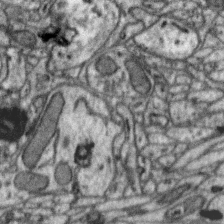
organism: Zebra finch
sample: Brain